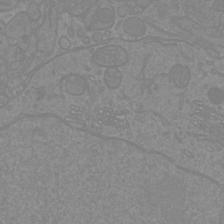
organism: Mouse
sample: Cortical neurons